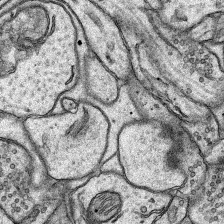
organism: Rat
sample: Hippocampus